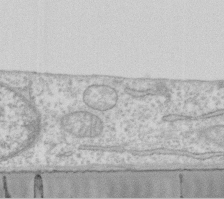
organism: Human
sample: Fibroblast cells